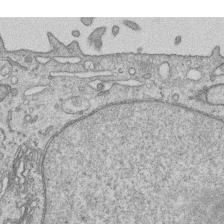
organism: Human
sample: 1205lu cells